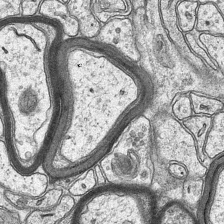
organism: Mouse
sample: CA1 Hippocampus